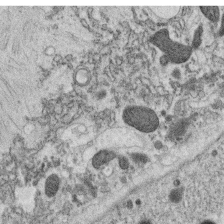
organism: C. elegans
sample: C. elegans oocyte; sperm cells